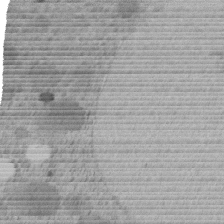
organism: C. elegans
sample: C. elegans embryo early stage